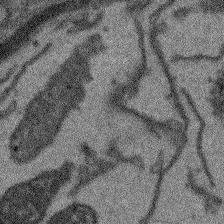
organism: Arabidopsis thaliana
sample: Root tip